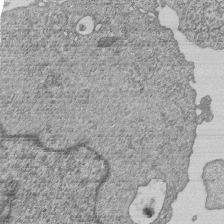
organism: Human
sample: MDA-MB-231 cells